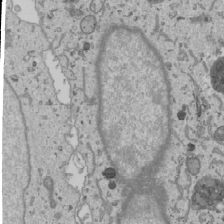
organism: Human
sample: Mitochondria in U2OS cells